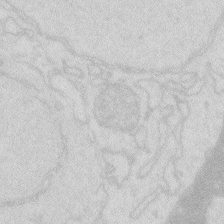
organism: Zebrafish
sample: Macrophage